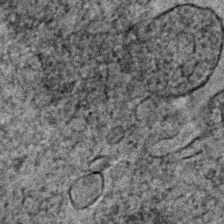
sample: Trachea